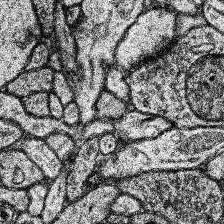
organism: Human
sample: Temporal Lobe